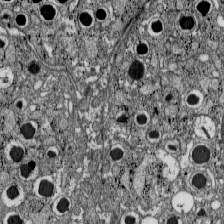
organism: C57BL Mouse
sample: Pancreatic islet